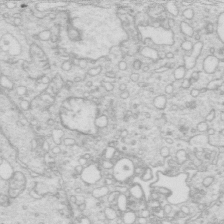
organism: Mouse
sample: Multiciliated cells